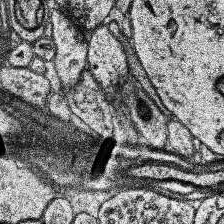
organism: Human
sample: Temporal Lobe